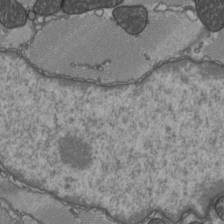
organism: C57BL Mouse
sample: Heart